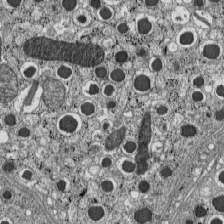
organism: C57BL Mouse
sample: Pancreatic islet